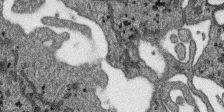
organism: Human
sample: Lung epithelial cells infected with SARS-CoV-2